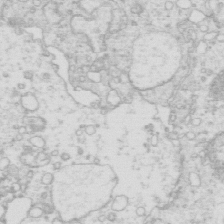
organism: Mouse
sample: Multiciliated cells